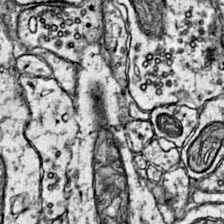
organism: Mouse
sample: Primary visual cortex